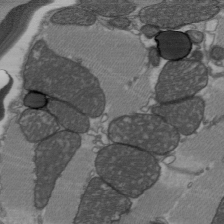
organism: C57BL Mouse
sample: Heart